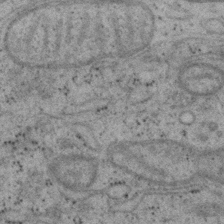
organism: Human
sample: HeLa cells